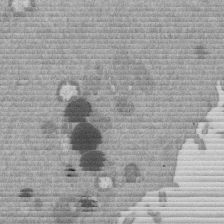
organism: Mouse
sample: Dividing mouse embryo 1 cell stage